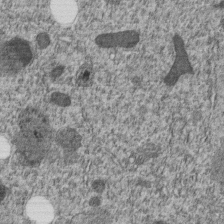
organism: C. elegans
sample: C. elegans embryo early stage